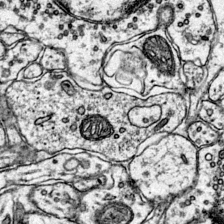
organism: Mouse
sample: Primary visual cortex